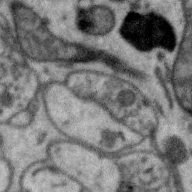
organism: Zebra finch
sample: Brain